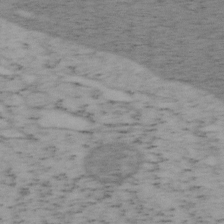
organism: Mouse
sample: OT-I killer T cells with ID8 ovarian cancer cells